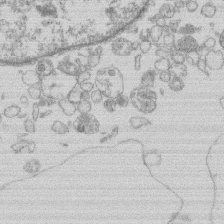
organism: Human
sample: Macrophage cells